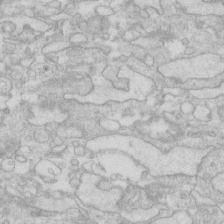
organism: Human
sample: Fibroblast cells